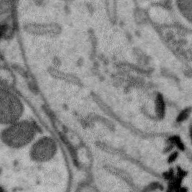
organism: Zebra finch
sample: Brain